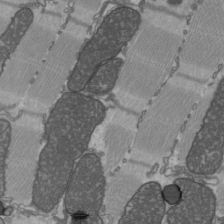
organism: C57BL Mouse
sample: Heart